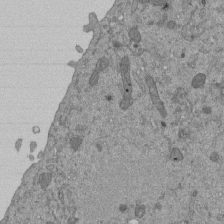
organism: Mouse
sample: ED-1 cell nuclei; centrioles